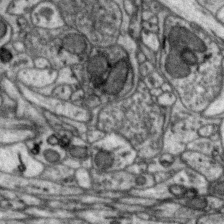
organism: Zebra finch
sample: Brain